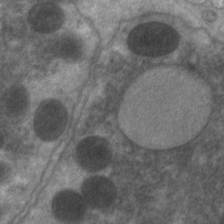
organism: C. elegans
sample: Pharynx